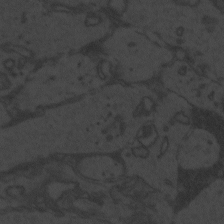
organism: Zebrafish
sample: Macrophage infected with Toxoplasma gondii